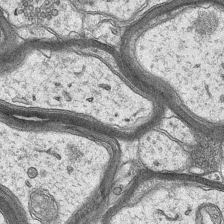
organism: Mouse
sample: CA1 Hippocampus